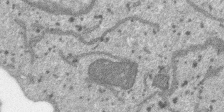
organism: Human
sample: Lung epithelial cells infected with SARS-CoV-2